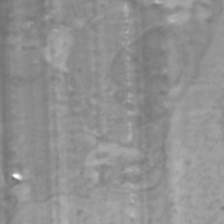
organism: Zebrafish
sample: Zebrafish embryo